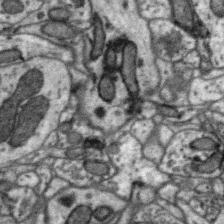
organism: Zebra finch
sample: Brain